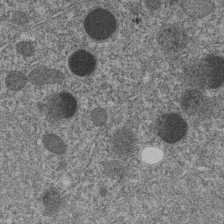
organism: C. elegans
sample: C. elegans embryo early stage